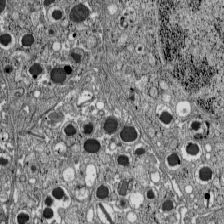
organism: C57BL Mouse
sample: Pancreatic islet